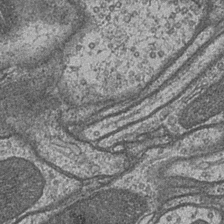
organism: Drosophila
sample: Optic medulla